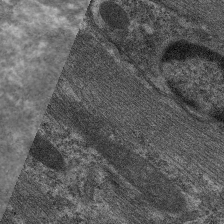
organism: C. elegans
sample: Pharynx